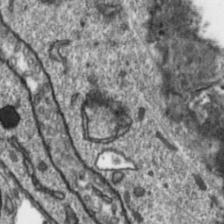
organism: Toxoplasma gondii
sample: Parasites in a vacuole inside a host cell